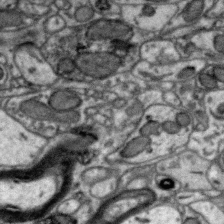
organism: Zebra finch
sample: Brain